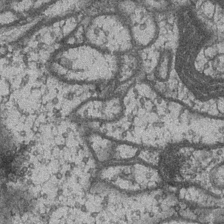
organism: Drosophila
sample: Optic medulla